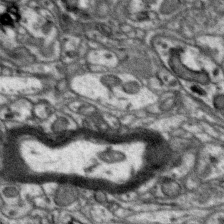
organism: Zebra finch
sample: Brain